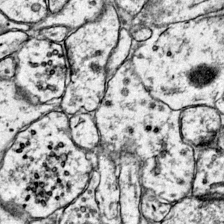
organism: Mouse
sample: Primary visual cortex